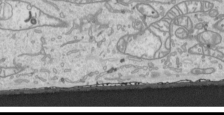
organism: Human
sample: Mitochondria in HCT116 cells